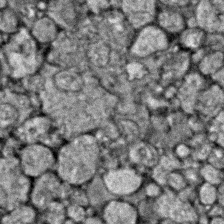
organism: Zebrafish